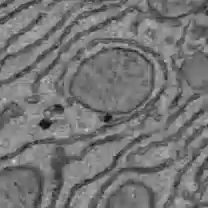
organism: C57BL Mouse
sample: Liver